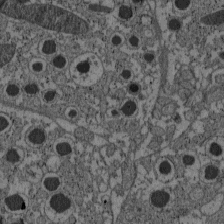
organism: C57BL Mouse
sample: Pancreatic islet